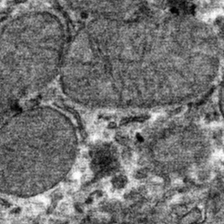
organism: Mouse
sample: Mouse hepatocytes